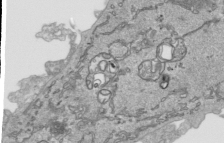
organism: Human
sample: Mitochondria in HCT116 cells